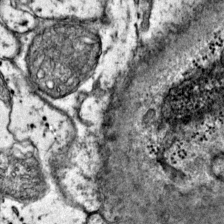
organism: Mouse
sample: Primary visual cortex